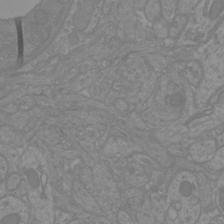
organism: Mouse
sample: Cortical neurons